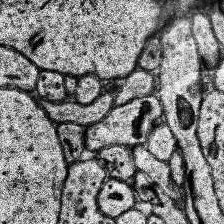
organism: Human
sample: Temporal Lobe